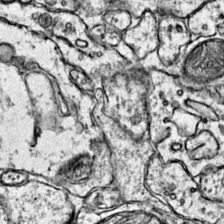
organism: Mouse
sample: Primary visual cortex